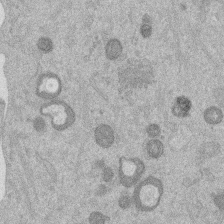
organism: Mouse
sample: Dividing mouse embryo 1 cell stage